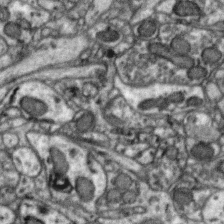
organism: Zebra finch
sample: Brain